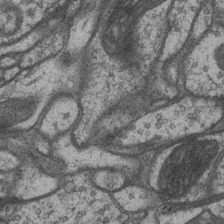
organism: Drosophila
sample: Optic medulla